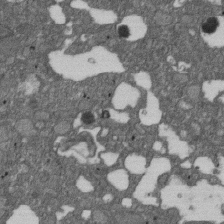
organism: Drosophila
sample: Nephrocyte